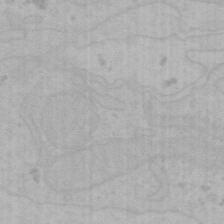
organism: Mouse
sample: Choroid plexus